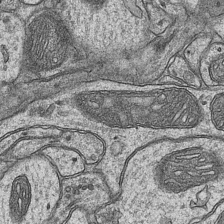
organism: Mouse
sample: CA1 Hippocampus